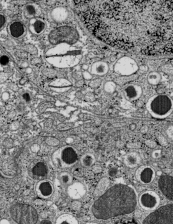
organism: C57BL Mouse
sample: Pancreatic islet